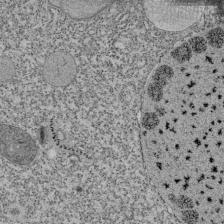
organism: Tetrahymena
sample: Cilia in tetrahymena